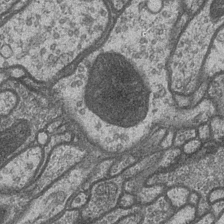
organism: Drosophila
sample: Optic medulla